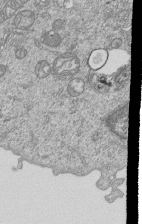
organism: Human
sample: MDA-MB-231 cells